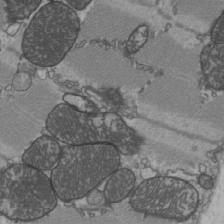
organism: C57BL Mouse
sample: Heart